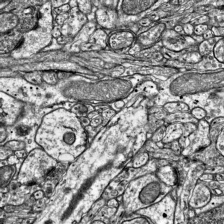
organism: Mouse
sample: Visual Cortex